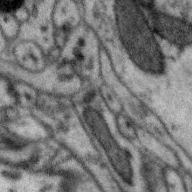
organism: Zebra finch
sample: Brain